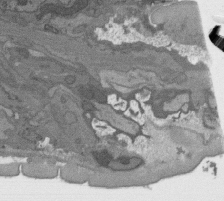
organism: C. elegans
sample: AFD neurons C. elegans